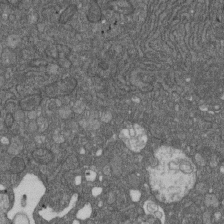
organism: Drosophila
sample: Nephrocyte